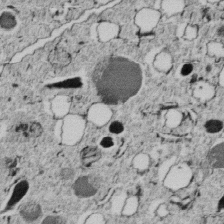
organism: C. elegans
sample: C. elegans embryo early stage